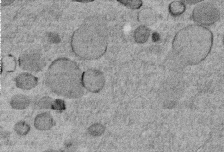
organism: C. elegans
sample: C. elegans embryo early stage